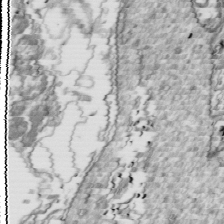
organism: Drosophila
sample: Cell division; meiosis; drosophila spermatocytes